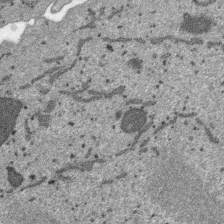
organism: Human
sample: Lung epithelial cells infected with SARS-CoV-2